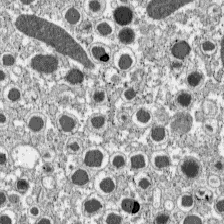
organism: C57BL Mouse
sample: Pancreatic islet